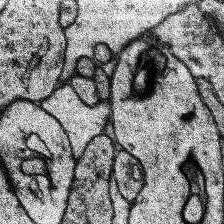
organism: Human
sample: Temporal Lobe